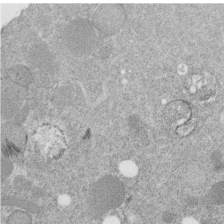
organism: C. elegans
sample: C. elegans embryo early stage